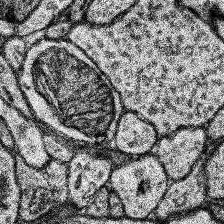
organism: Human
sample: Temporal Lobe